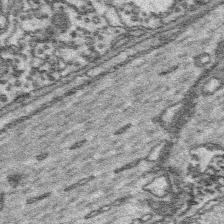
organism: Platynereis dumerilii